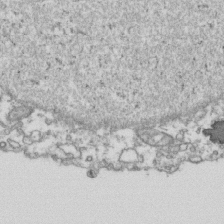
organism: Human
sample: Activated Jurkat CD4+ T cells